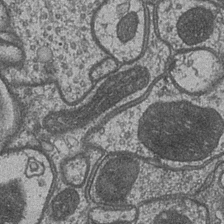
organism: Drosophila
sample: Optic medulla